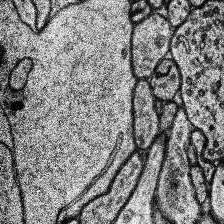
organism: Human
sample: Temporal Lobe